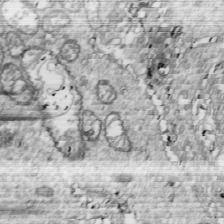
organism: Drosophila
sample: Cell division; meiosis; drosophila spermatocytes